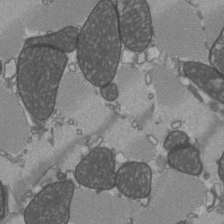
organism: C57BL Mouse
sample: Heart